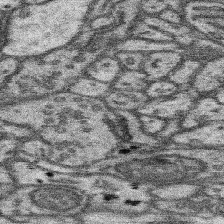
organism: Mouse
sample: Somatosensory cortex neuropil